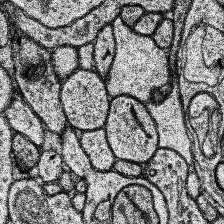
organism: Human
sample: Temporal Lobe